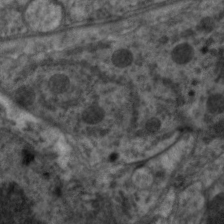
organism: C. elegans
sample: Pharynx